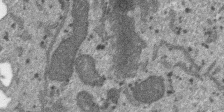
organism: Human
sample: Lung epithelial cells infected with SARS-CoV-2